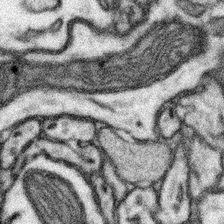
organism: Mouse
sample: Somatosensory cortex neuropil